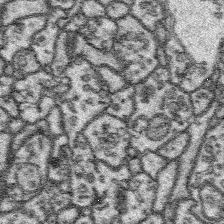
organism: Platynereis dumerilii